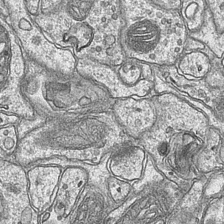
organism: Mouse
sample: CA1 Hippocampus